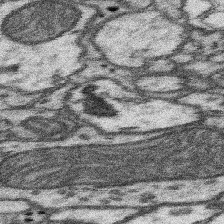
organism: Mouse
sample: Somatosensory cortex neuropil